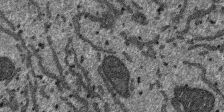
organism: Human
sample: Lung epithelial cells infected with SARS-CoV-2